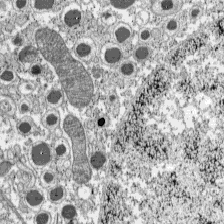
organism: C57BL Mouse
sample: Pancreatic islet